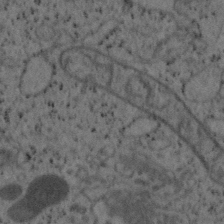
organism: Human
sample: HeLa cells